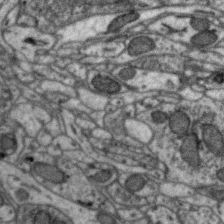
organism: Zebra finch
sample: Brain